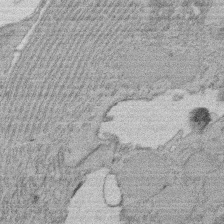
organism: Rat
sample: Salivary granule